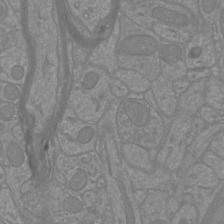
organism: Mouse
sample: Cortical neurons